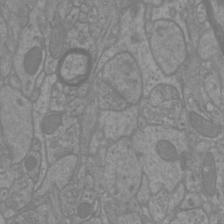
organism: Mouse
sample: Cortical neurons